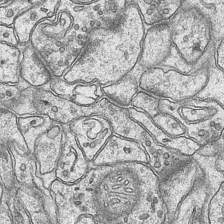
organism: Mouse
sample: CA1 Hippocampus